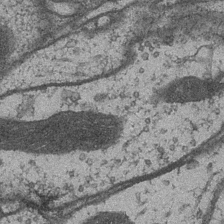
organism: Drosophila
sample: Optic medulla